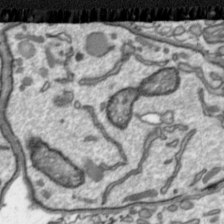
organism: Toxoplasma gondii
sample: Parasites in a vacuole inside a host cell